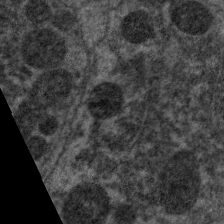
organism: C. elegans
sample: Pharynx